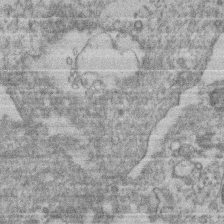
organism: Mouse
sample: T cell stromal cell synapse